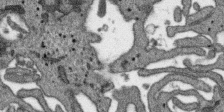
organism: Human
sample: Lung epithelial cells, uninfected (mock) control